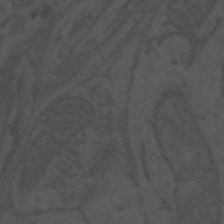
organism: Mouse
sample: Suprachiasmatic nucleus